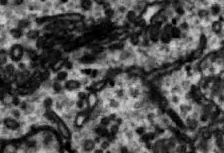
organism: Human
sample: HeLa cells